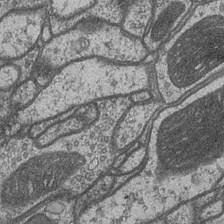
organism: Drosophila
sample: Optic medulla